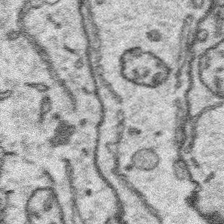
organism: Platynereis dumerilii